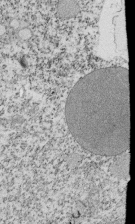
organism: Tetrahymena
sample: Cilia in tetrahymena